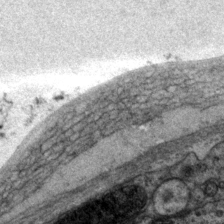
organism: P. pacificus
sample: Pharynx